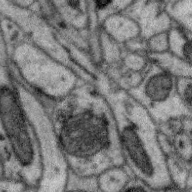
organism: Zebra finch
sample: Brain